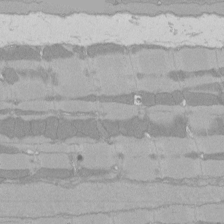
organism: Rat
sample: Left ventricle